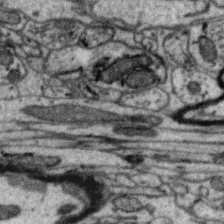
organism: Zebra finch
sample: Brain